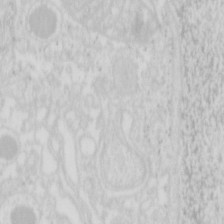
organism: Mouse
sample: Pancreas